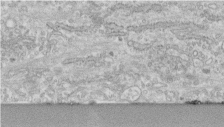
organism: Human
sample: Centriole in fibroblast cells